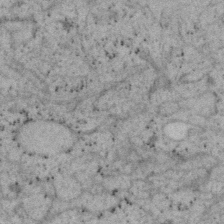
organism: Human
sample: HeLa cells